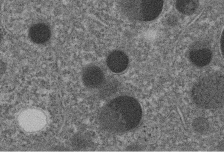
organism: C. elegans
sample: C. elegans embryo early stage